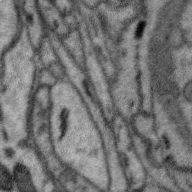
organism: Zebra finch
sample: Brain